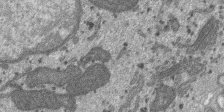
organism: Human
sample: Lung epithelial cells infected with SARS-CoV-2